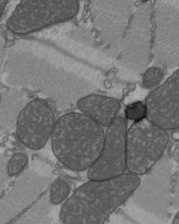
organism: C57BL Mouse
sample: Heart